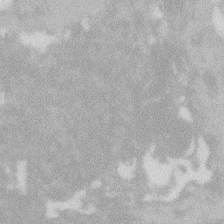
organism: Zebrafish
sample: Macrophage